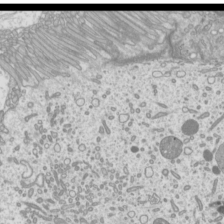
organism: Mouse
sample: Cilia; mouse epididymis